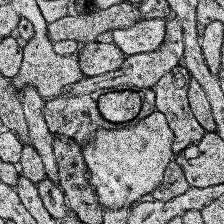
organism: Human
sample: Temporal Lobe